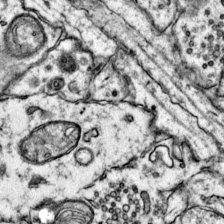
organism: Mouse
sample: Primary visual cortex